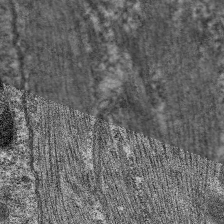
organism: C. elegans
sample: Pharynx